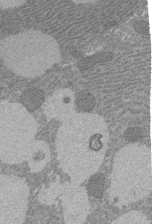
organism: Rat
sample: Salivary granule